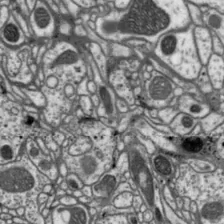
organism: Drosophila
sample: Protocerebral bridge